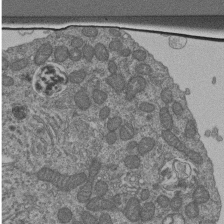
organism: Human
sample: Retinal organoid Rod and Cone cells